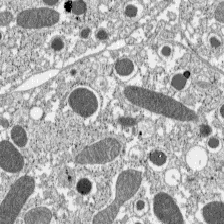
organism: C57BL Mouse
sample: Pancreatic islet